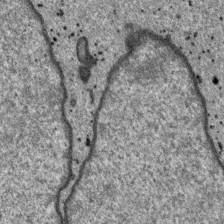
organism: Human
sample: Lung epithelial cells, uninfected (mock) control